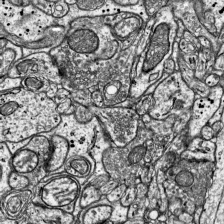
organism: Mouse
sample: Visual Cortex